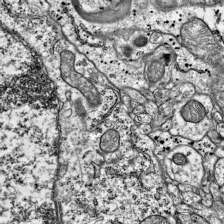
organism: Mouse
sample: Visual Cortex